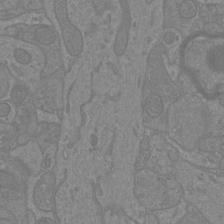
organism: Mouse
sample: Cortical neurons